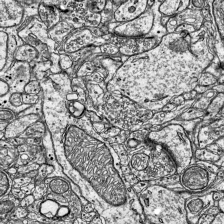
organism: Mouse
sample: Visual Cortex